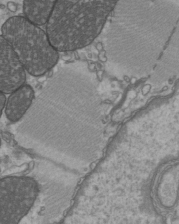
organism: C57BL Mouse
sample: Heart